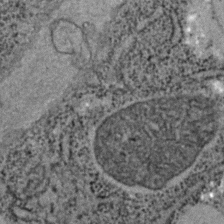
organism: C. elegans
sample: C. elegans embryo